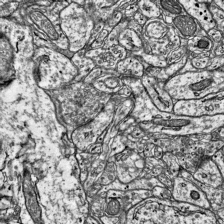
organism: Mouse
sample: Visual Cortex